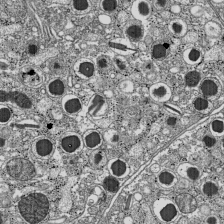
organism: C57BL Mouse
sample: Pancreatic islet